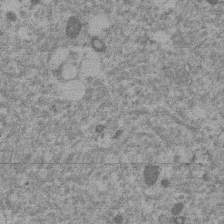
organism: Mouse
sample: Dividing mouse embryo 1 cell stage